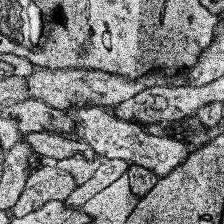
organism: Human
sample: Temporal Lobe